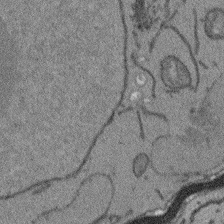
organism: Arabidopsis thaliana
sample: Root tip